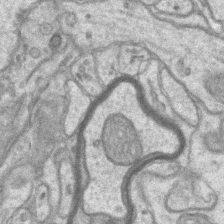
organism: Mouse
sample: CA1 Hippocampus